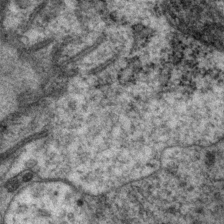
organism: P. pacificus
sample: Pharynx